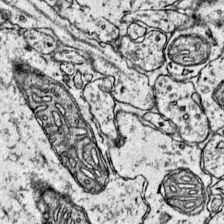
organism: Mouse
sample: Primary visual cortex